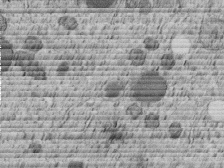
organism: C. elegans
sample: C. elegans embryo early stage